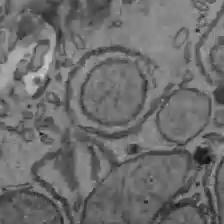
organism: C57BL Mouse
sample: Liver